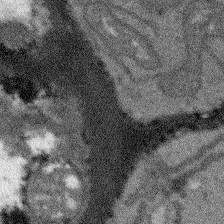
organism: Arabidopsis thaliana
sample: Root tip